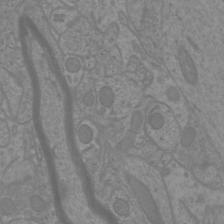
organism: Mouse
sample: Cortical neurons